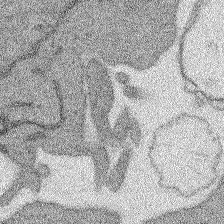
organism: Human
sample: HeLa cells